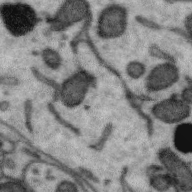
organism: Zebra finch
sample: Brain